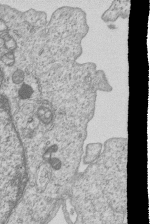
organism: Human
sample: MDA-MB-231 cells